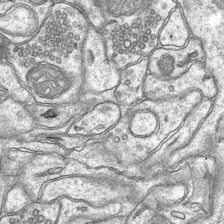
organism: Mouse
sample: CA1 Hippocampus